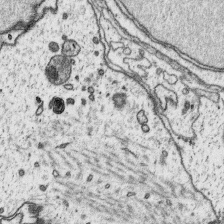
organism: Platynereis dumerilii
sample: Parapodia